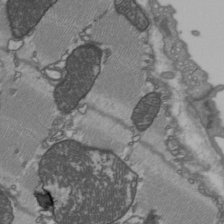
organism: C57BL Mouse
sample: Heart